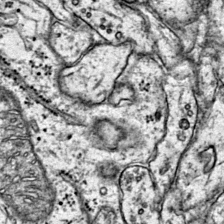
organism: Mouse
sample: Primary visual cortex